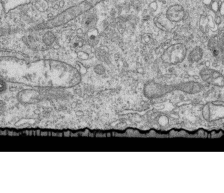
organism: Human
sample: HeLa cell HIV synapse